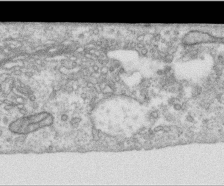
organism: Human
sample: Centriole in RPE cells